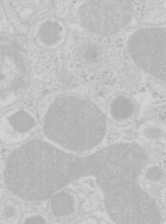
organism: Mouse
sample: Pancreas